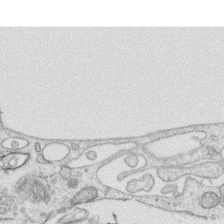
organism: Human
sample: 1205lu cells